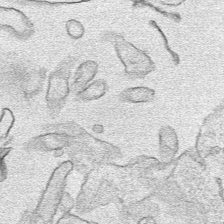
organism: Human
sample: Mitochondria in HCT116 cells